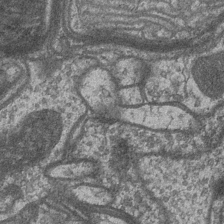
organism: Drosophila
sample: Optic medulla